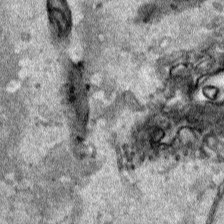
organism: Human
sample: Mitochondria in HCT116 cells